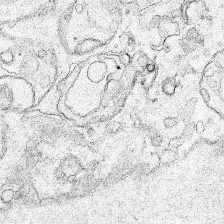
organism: Human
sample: Mitochondria in HCT116 cells